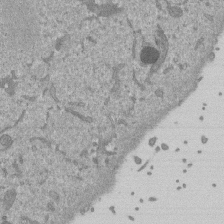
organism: Mouse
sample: ED-1 cell nuclei; centrioles